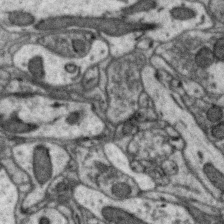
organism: Zebra finch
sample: Brain